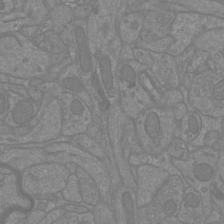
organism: Mouse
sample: Cortical neurons